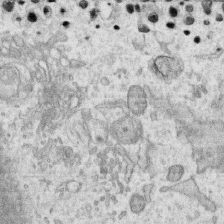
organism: Human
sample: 1205lu cells